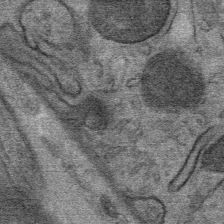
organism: Mouse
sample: Mouse Salivary gland